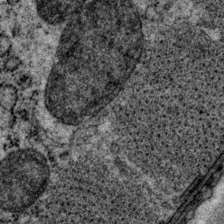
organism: P. pacificus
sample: Pharynx